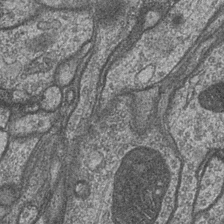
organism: Drosophila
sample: Optic medulla